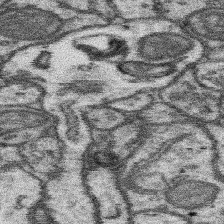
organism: Mouse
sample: Somatosensory cortex neuropil